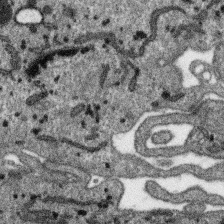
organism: Human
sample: Lung epithelial cells infected with SARS-CoV-2